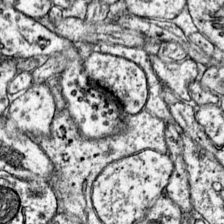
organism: Mouse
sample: Primary visual cortex